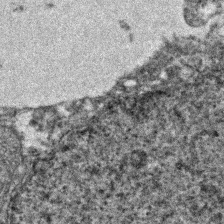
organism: Zebrafish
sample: Zebrafish embryo